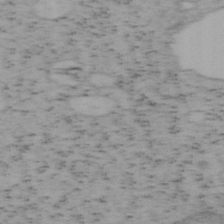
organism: Mouse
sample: OT-I killer T cells with ID8 ovarian cancer cells